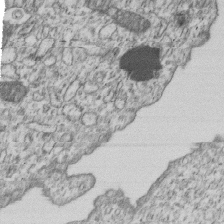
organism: Human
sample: MDA-MB-231 cells